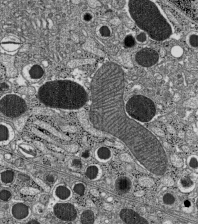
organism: C57BL Mouse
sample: Pancreatic islet